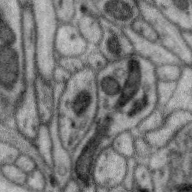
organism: Zebra finch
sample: Brain